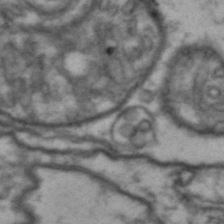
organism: Drosophila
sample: Brain